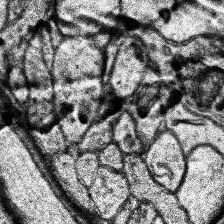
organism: Human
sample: Temporal Lobe